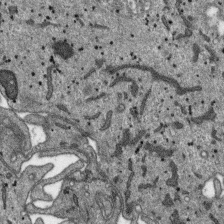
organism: Human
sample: Lung epithelial cells, uninfected (mock) control